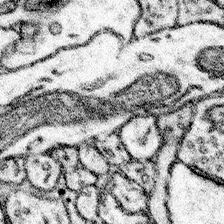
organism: Mouse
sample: Somatosensory cortex neuropil